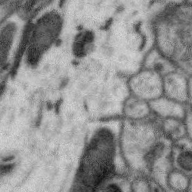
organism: Zebra finch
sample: Brain